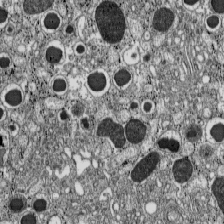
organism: C57BL Mouse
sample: Pancreatic islet